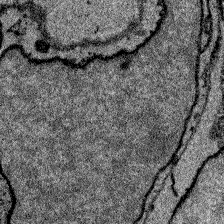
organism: Zebrafish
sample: Larval olfactory bulb